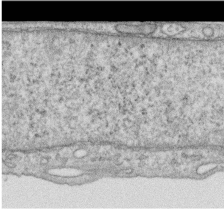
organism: Human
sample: Centriole in RPE cells